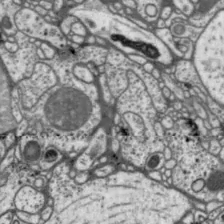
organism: Drosophila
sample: Protocerebral bridge